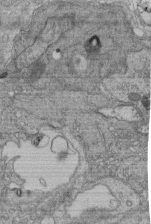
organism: Human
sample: Retinal organoid Rod and Cone cells